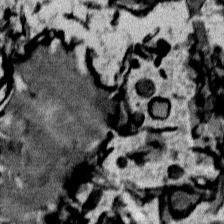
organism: Mouse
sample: Mouse Salivary gland